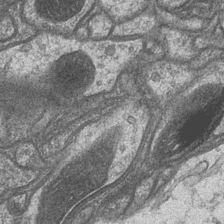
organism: Drosophila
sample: Optic medulla